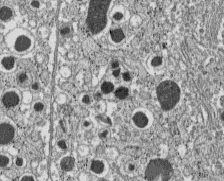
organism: C57BL Mouse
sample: Pancreatic islet